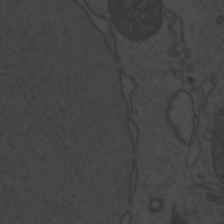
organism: Zebrafish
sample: Macrophage infected with Toxoplasma gondii